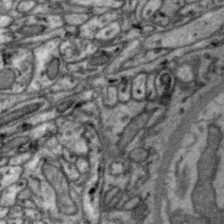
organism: Zebra finch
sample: Brain